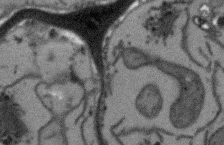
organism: Arabidopsis thaliana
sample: Root tip